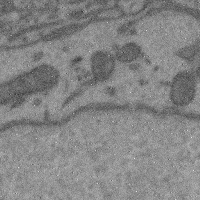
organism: Mouse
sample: Cerebral cortex